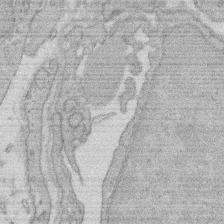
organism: Rat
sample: Salivary granule